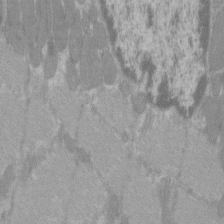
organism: C57BL Mouse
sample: Tibialis anterior muscle cell